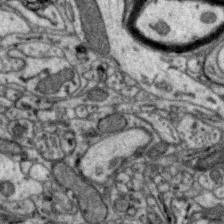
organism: Zebra finch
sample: Brain